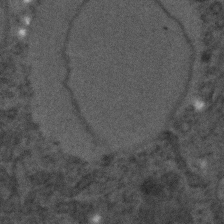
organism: C. elegans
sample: C. elegans embryo